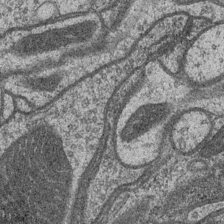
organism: Drosophila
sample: Optic medulla